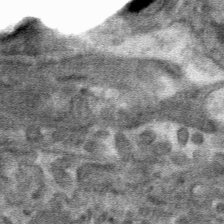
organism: Mouse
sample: Mouse hepatocytes